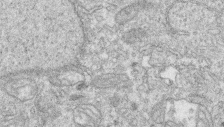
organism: Human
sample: HeLa cell HIV synapse